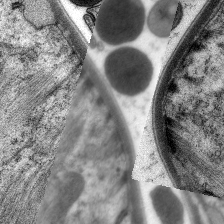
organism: C. elegans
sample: Pharynx